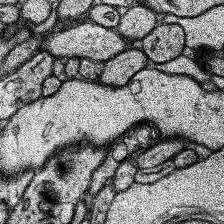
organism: Human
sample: Temporal Lobe